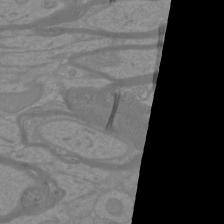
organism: Mouse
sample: Cortical neurons